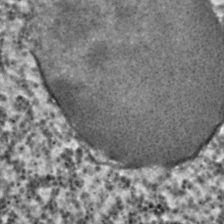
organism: C. elegans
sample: C. elegans embryo